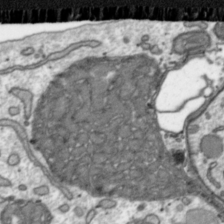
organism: Toxoplasma gondii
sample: Parasites in a vacuole inside a host cell